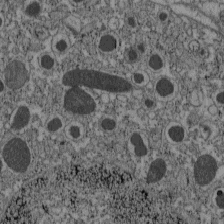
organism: C57BL Mouse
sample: Pancreatic islet